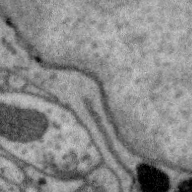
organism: Zebra finch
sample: Brain